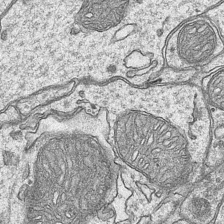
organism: Mouse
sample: CA1 Hippocampus